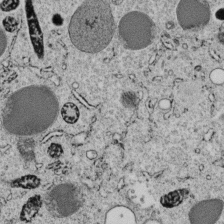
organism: C. elegans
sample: C. elegans embryo early stage